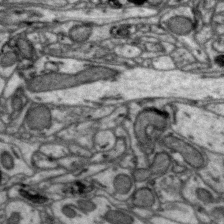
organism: Zebra finch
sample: Brain